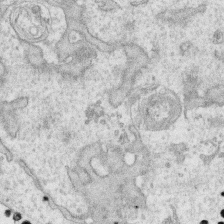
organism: Human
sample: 1205lu cells